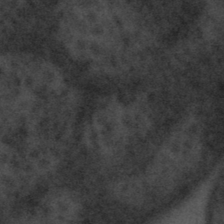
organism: Tuwongella immobilis